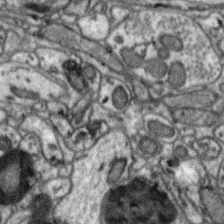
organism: Zebra finch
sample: Brain